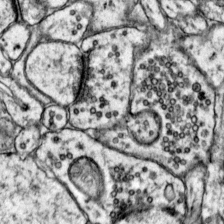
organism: Mouse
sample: Primary visual cortex